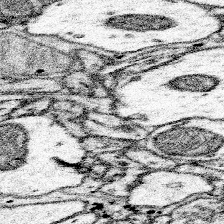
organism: Mouse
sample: Somatosensory cortex neuropil